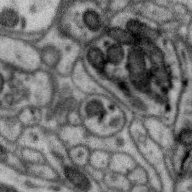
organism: Zebra finch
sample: Brain